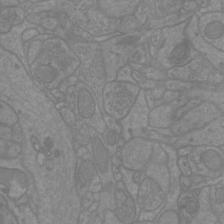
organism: Mouse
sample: Cortical neurons